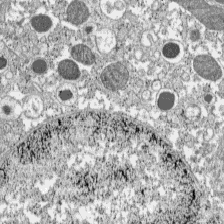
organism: C57BL Mouse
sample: Pancreatic islet